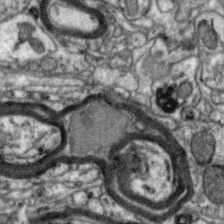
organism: Zebra finch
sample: Brain